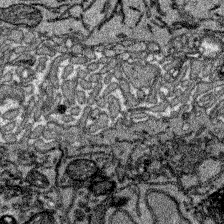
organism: Zebrafish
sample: Larval olfactory bulb